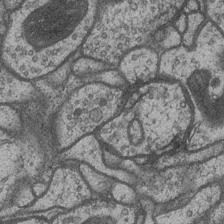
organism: Drosophila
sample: Optic medulla